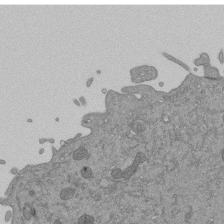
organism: Mouse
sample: ED-1 cell nuclei; centrioles